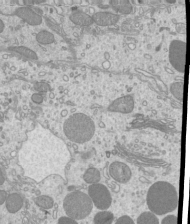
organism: Mouse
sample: Cilia; mouse epididymis